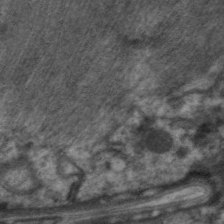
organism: C. elegans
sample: Pharynx